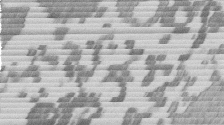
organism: Mouse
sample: Dividing mouse embryo 1 cell stage